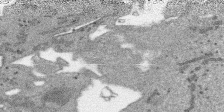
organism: Human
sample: Lung epithelial cells infected with SARS-CoV-2